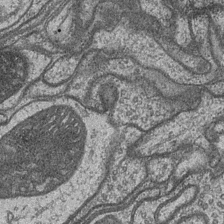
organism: Drosophila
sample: Optic medulla